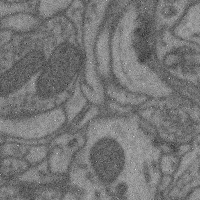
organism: Mouse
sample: Cerebral cortex